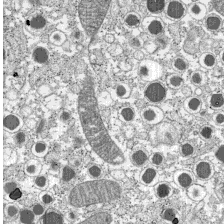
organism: C57BL Mouse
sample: Pancreatic islet